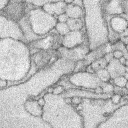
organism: Rabbit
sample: Retina